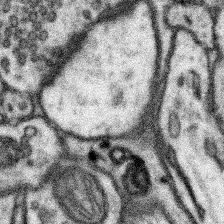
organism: Mouse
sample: Somatosensory cortex neuropil